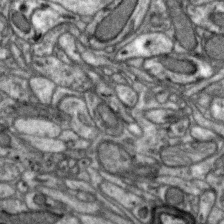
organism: Zebra finch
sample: Brain